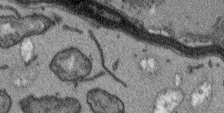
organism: Arabidopsis thaliana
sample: Root tip